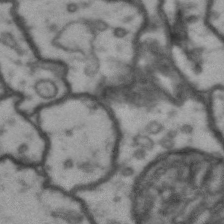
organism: Drosophila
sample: Brain